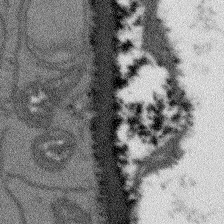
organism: Arabidopsis thaliana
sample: Root tip